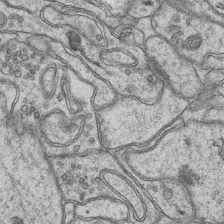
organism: Mouse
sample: CA1 Hippocampus